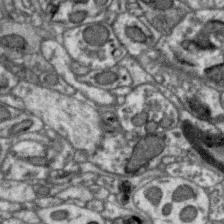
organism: Zebra finch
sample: Brain